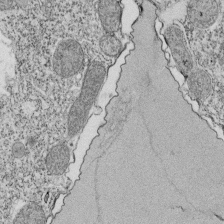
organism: Tetrahymena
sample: Cilia in tetrahymena